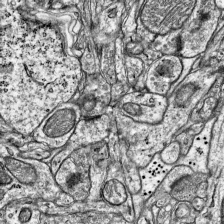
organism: Mouse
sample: Visual Cortex